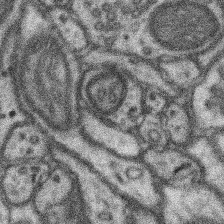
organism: Mouse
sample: Somatosensory cortex neuropil